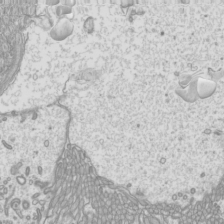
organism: Mouse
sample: Cilia; mouse epididymis